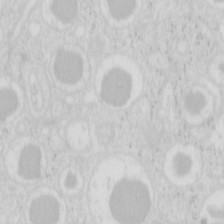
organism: Mouse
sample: Pancreas